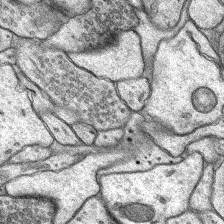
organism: Rat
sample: Hippocampus